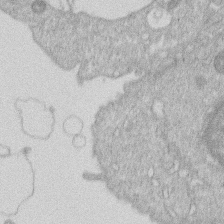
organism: Human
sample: Macrophage cells